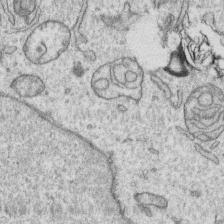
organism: Human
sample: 1205lu cells